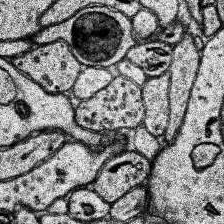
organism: Human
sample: Temporal Lobe